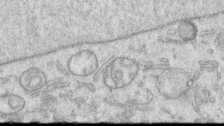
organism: Human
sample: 1205lu cells